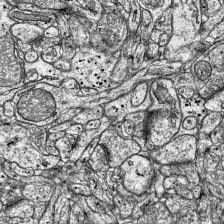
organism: Mouse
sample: Visual Cortex